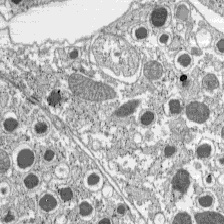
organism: C57BL Mouse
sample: Pancreatic islet